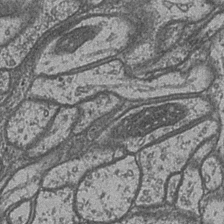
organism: Drosophila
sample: Optic medulla